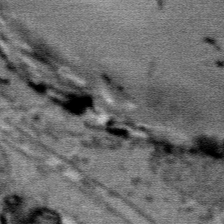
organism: Mouse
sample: Mouse Salivary gland